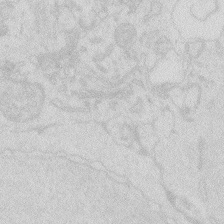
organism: Zebrafish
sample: Macrophage